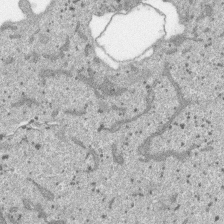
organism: Human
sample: Lung epithelial cells infected with SARS-CoV-2